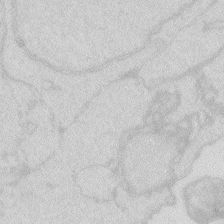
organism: Zebrafish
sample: Macrophage